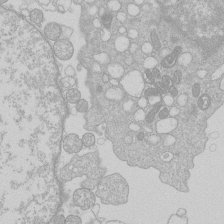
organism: Human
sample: Macrophage cells